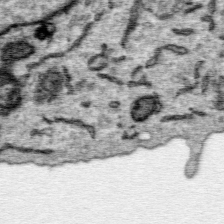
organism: Human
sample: HeLa cells